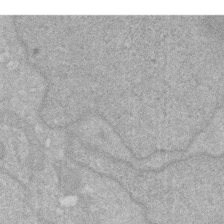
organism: Human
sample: HIV infected U937 cells